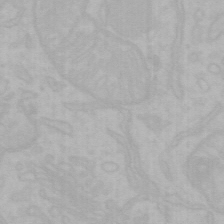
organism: Mouse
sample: Choroid plexus